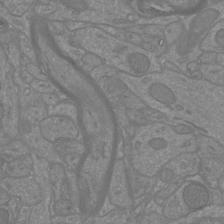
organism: Mouse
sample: Cortical neurons